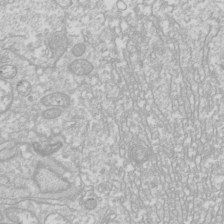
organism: Drosophila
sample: Cell division; meiosis; drosophila spermatocytes